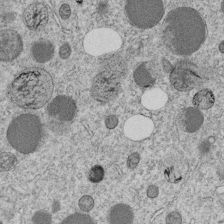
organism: C. elegans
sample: C. elegans embryo early stage